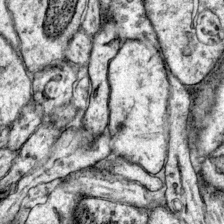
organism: Mouse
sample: Primary visual cortex